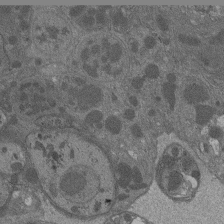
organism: Drosophila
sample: Antenna